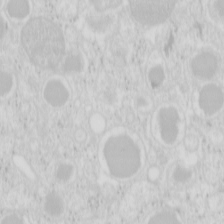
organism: Mouse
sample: Pancreas